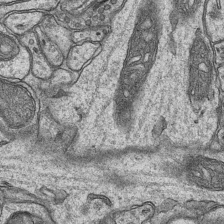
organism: Mouse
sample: CA1 Hippocampus